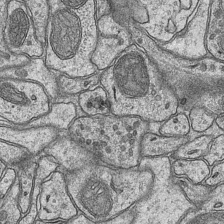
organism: Mouse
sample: CA1 Hippocampus